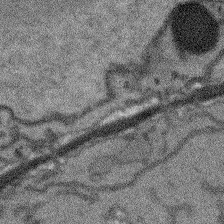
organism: Arabidopsis thaliana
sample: Root tip